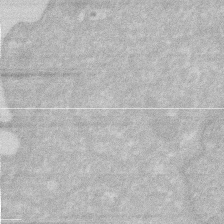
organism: Human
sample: HIV infected U937 cells